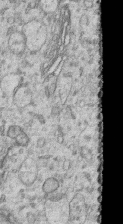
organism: Human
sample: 1205lu cells